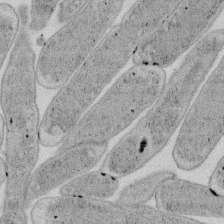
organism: E. coli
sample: Bacterial nucleoid